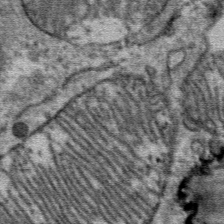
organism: Mouse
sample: Mouse Salivary gland